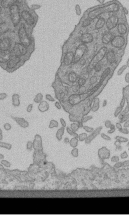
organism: Human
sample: Retinal organoid Rod and Cone cells